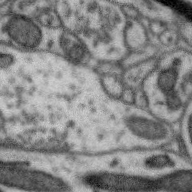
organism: Zebra finch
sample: Brain